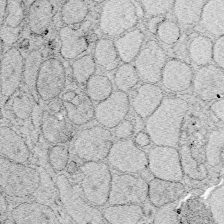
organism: Zebrafish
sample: Whole-Brain